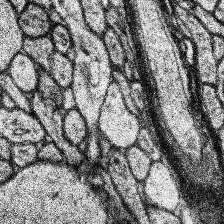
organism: Human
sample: Temporal Lobe